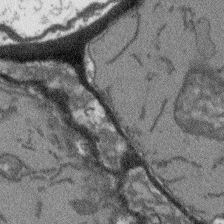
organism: Arabidopsis thaliana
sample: Root tip